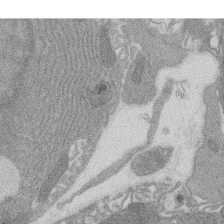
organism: Rat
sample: Salivary granule